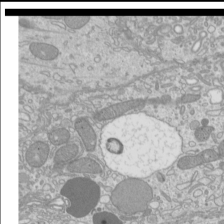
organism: Mouse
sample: Cilia; mouse epididymis